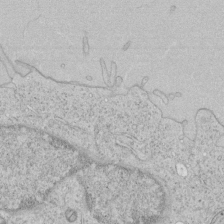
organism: Human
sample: Mitochondria in HCT116 cells